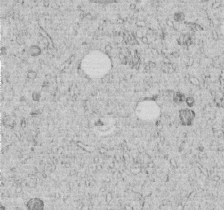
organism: C. elegans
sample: C. elegans embryo early stage